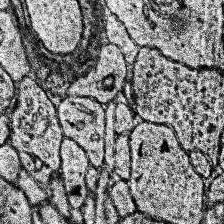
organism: Human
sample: Temporal Lobe